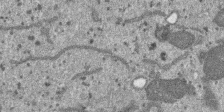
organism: Human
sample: Lung epithelial cells infected with SARS-CoV-2